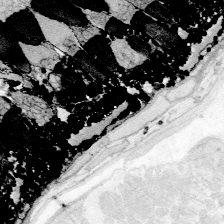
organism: Zebrafish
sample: Whole-Brain